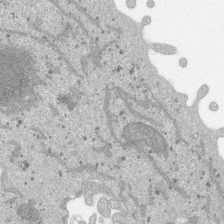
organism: Human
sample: Lung epithelial cells infected with SARS-CoV-2